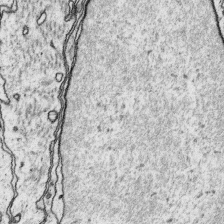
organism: Platynereis dumerilii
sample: Parapodia